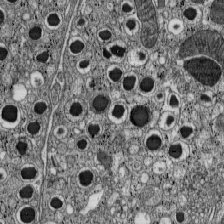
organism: C57BL Mouse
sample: Pancreatic islet